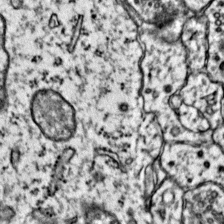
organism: Mouse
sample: Primary visual cortex